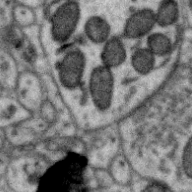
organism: Zebra finch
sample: Brain